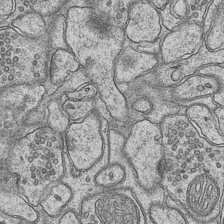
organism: Mouse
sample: CA1 Hippocampus